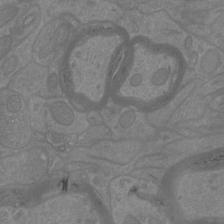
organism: Mouse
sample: Cortical neurons